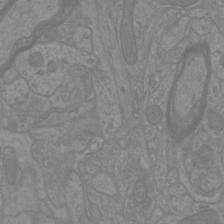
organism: Mouse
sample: Cortical neurons